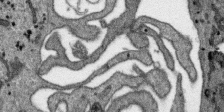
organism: Human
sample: Lung epithelial cells, uninfected (mock) control